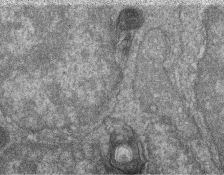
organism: Zebrafish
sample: Cilia; retinal pigment epithelium